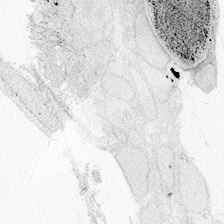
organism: Zebrafish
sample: Whole-Brain